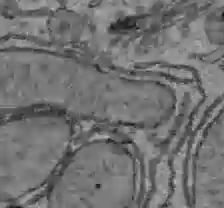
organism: C57BL Mouse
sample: Liver